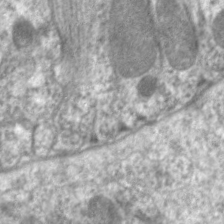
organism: C. elegans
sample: Pharynx